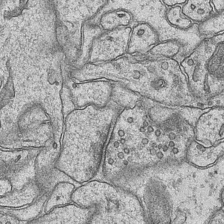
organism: Mouse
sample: CA1 Hippocampus